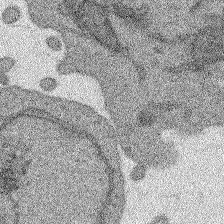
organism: Human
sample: HeLa cells